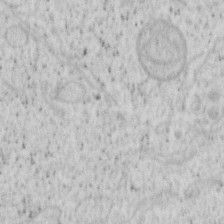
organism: Human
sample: HeLa cells